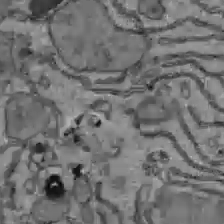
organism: C57BL Mouse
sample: Liver